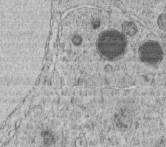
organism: C. elegans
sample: C. elegans embryo early stage